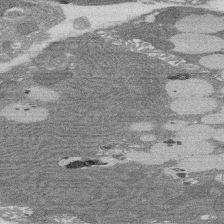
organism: Rat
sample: Salivary granule